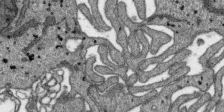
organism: Human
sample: Lung epithelial cells, uninfected (mock) control